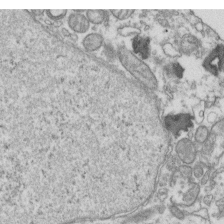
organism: Human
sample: Activated Jurkat CD4+ T cells